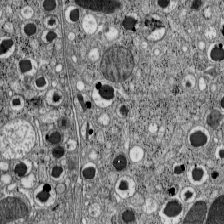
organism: C57BL Mouse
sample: Pancreatic islet